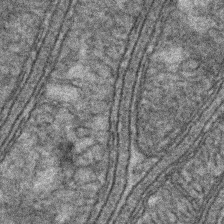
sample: Kidney